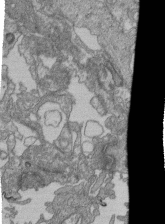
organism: Human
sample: Retinal organoid Rod and Cone cells